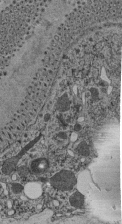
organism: C. elegans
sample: C. elegans pharynx